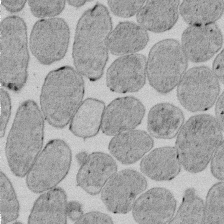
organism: E. coli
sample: Bacterial nucleoid